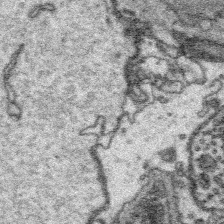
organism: Platynereis dumerilii